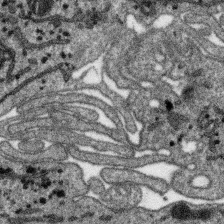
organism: Human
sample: Lung epithelial cells infected with SARS-CoV-2